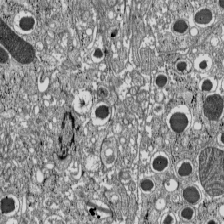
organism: C57BL Mouse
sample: Pancreatic islet